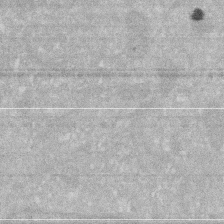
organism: Human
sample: HIV infected U937 cells